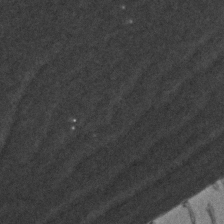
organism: Zebrafish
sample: Zebrafish embryo